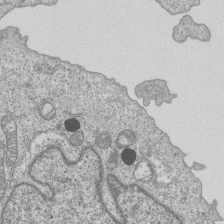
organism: Human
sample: MDA-MB-231 cells